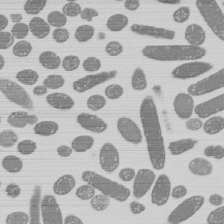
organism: E. coli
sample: Bacterial nucleoid